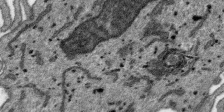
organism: Human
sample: Lung epithelial cells, uninfected (mock) control